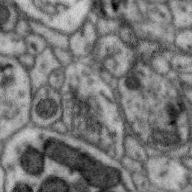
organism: Zebra finch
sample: Brain